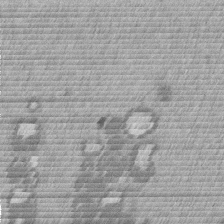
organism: Mouse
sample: Dividing mouse embryo 1 cell stage